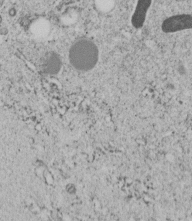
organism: C. elegans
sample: C. elegans embryo early stage